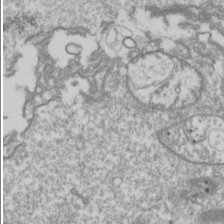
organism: Drosophila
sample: Cell division; meiosis; drosophila spermatocytes